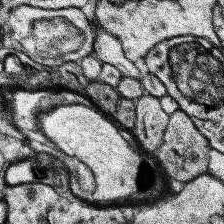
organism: Human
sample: Temporal Lobe